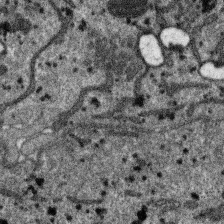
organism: Human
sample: Lung epithelial cells infected with SARS-CoV-2